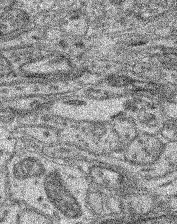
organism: Mouse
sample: Retina